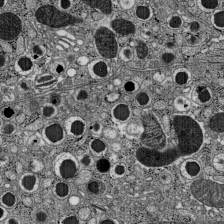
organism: C57BL Mouse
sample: Pancreatic islet